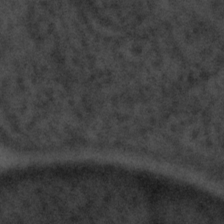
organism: Tuwongella immobilis